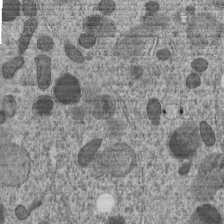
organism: C. elegans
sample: C. elegans embryo early stage